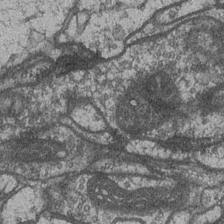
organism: Drosophila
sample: Optic medulla